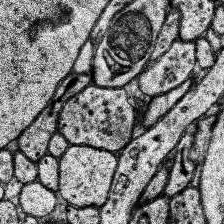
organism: Human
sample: Temporal Lobe